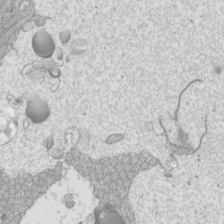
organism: Mouse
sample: Cilia; mouse epididymis